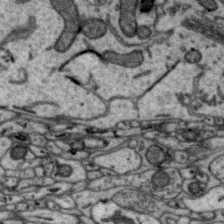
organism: Zebra finch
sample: Brain